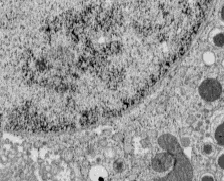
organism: C57BL Mouse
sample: Pancreatic islet